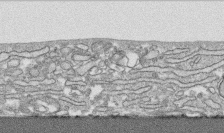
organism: Human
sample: CRL-1474